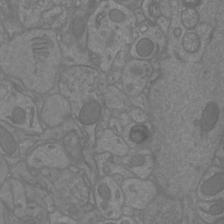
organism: Mouse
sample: Cortical neurons